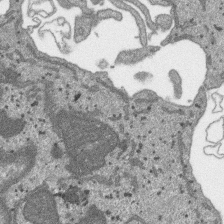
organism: Human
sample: Lung epithelial cells infected with SARS-CoV-2